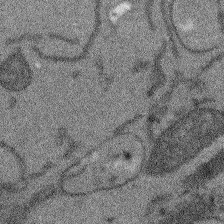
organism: Arabidopsis thaliana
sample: Root tip